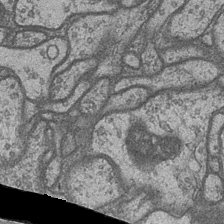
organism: Drosophila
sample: Optic medulla